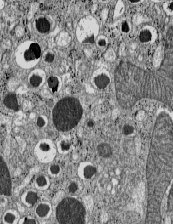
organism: C57BL Mouse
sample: Pancreatic islet